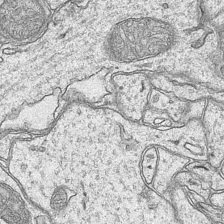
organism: Mouse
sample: CA1 Hippocampus